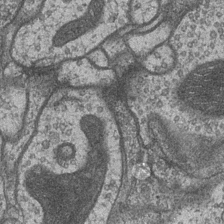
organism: Drosophila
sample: Optic medulla